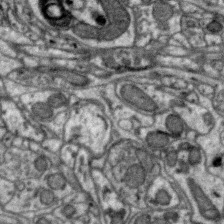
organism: Zebra finch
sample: Brain